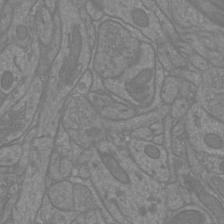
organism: Mouse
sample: Cortical neurons